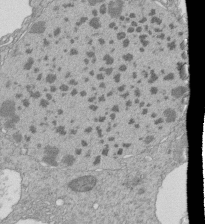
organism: Tetrahymena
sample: Cilia in tetrahymena